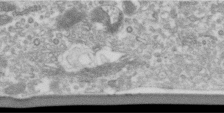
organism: Human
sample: Centriole in RPE cells